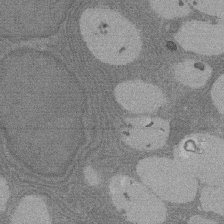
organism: Rat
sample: Salivary granule